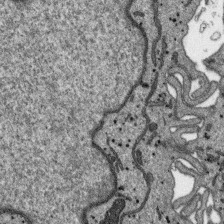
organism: Human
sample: Lung epithelial cells, uninfected (mock) control